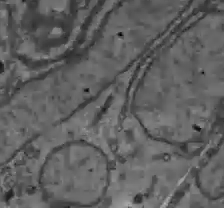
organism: C57BL Mouse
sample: Liver